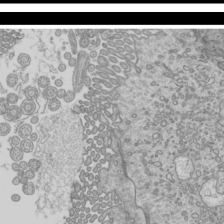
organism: Mouse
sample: Cilia; mouse epididymis